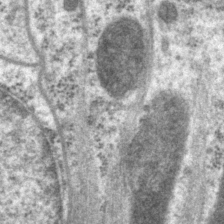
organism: P. pacificus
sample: Pharynx